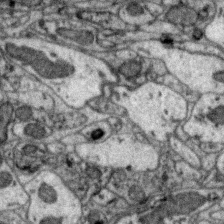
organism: Zebra finch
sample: Brain